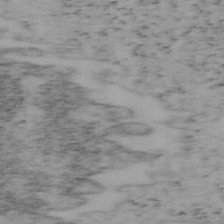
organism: Mouse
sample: OT-I killer T cells with ID8 ovarian cancer cells